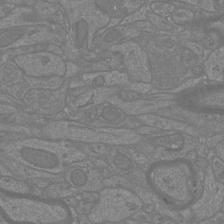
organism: Mouse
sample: Cortical neurons